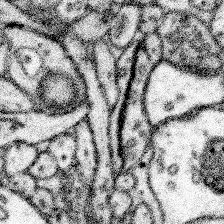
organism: Mouse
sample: Somatosensory cortex neuropil